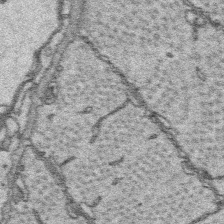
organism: Platynereis dumerilii